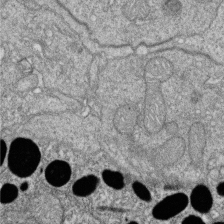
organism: Zebrafish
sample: Cilia; retinal pigment epithelium